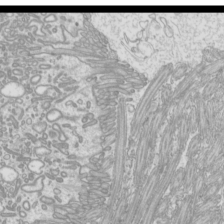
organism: Mouse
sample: Cilia; mouse epididymis